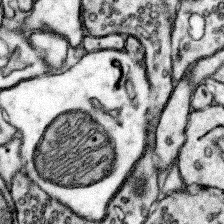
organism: Mouse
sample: Somatosensory cortex neuropil